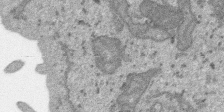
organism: Human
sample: Lung epithelial cells infected with SARS-CoV-2